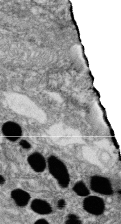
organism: Zebrafish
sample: Cilia; retinal pigment epithelium